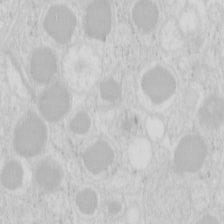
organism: Mouse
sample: Pancreas